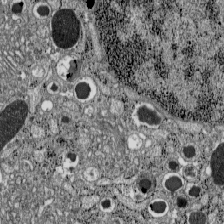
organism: C57BL Mouse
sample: Pancreatic islet